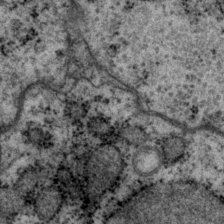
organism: P. pacificus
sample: Pharynx